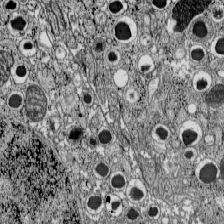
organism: C57BL Mouse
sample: Pancreatic islet